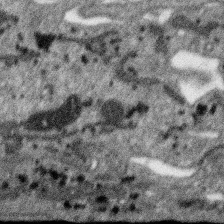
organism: Human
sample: Lung epithelial cells infected with SARS-CoV-2